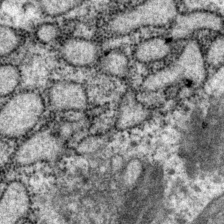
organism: P. pacificus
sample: Pharynx